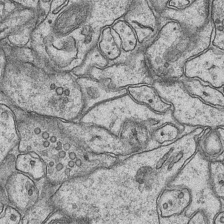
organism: Mouse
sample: CA1 Hippocampus